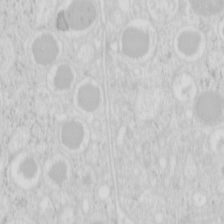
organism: Mouse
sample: Pancreas